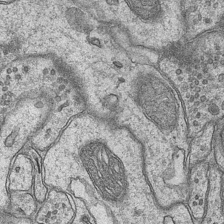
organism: Mouse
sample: CA1 Hippocampus